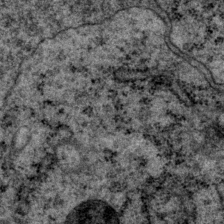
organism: P. pacificus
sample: Pharynx